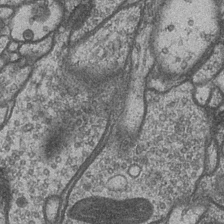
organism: Drosophila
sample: Optic medulla